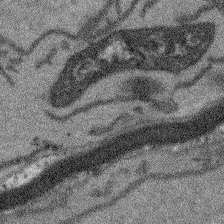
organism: Arabidopsis thaliana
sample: Root tip